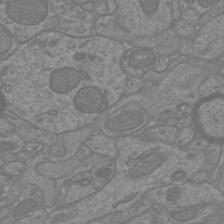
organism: Mouse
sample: Cortical neurons